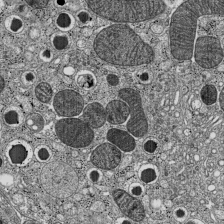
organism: C57BL Mouse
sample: Pancreatic islet